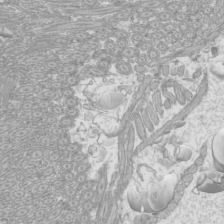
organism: Mouse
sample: Cilia; mouse epididymis